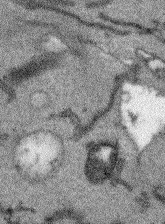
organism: Arabidopsis thaliana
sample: Root tip